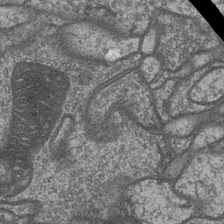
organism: Drosophila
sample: Optic medulla